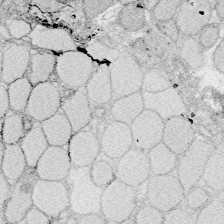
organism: Zebrafish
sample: Whole-Brain